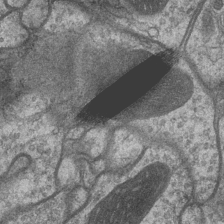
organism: Drosophila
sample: Optic medulla